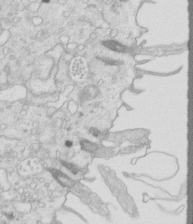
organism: Mouse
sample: Multiciliated cells